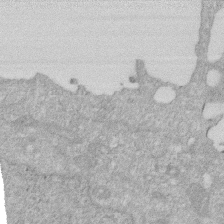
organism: Human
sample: HIV infected U937 cells